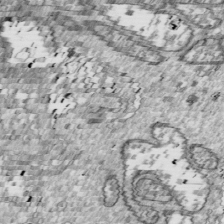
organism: Drosophila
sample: Cell division; meiosis; drosophila spermatocytes